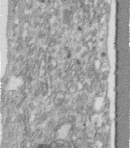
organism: Human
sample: Centriole in fibroblast cells